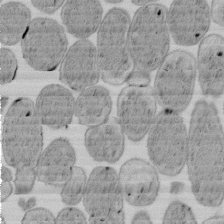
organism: E. coli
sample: Bacterial nucleoid